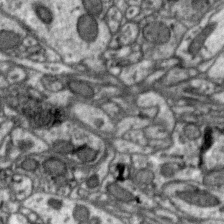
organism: Zebra finch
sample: Brain